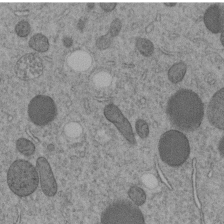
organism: C. elegans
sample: C. elegans embryo early stage